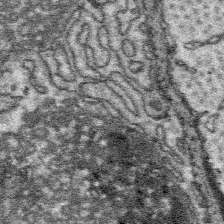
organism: Platynereis dumerilii